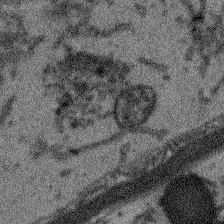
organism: Arabidopsis thaliana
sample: Root tip